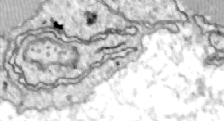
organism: Zebrafish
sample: Actinotrichia fibers